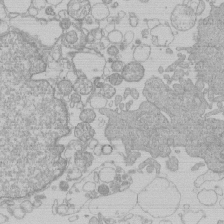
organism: Human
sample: Macrophage cells